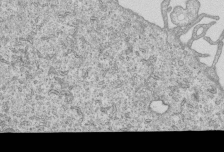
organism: Human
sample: MDA-MB-231 cells